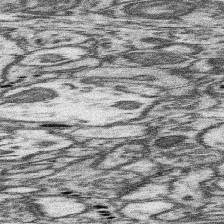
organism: Mouse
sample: Somatosensory cortex neuropil